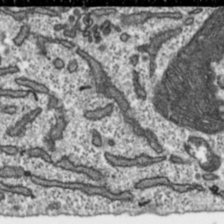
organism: Toxoplasma gondii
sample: Parasites in a vacuole inside a host cell